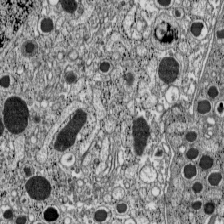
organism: C57BL Mouse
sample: Pancreatic islet